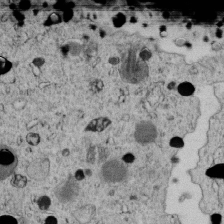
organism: C. elegans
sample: C. elegans embryo early stage